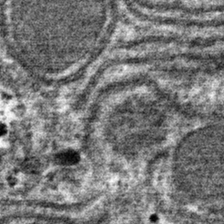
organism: Mouse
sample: Mouse hepatocytes